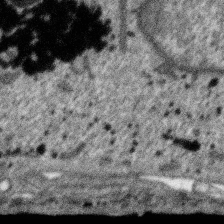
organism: Human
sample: Lung epithelial cells infected with SARS-CoV-2